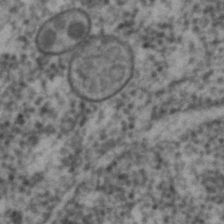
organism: C. elegans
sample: C. elegans embryo